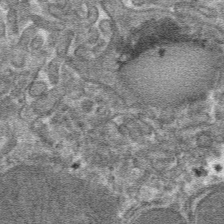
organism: Mouse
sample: Mouse hepatocytes